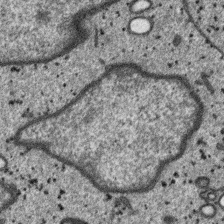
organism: Human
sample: Lung epithelial cells infected with SARS-CoV-2